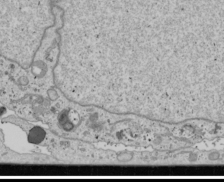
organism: Human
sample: Mitochondria in U2OS cells